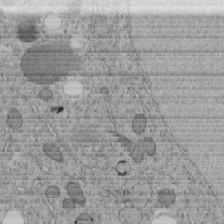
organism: C. elegans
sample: C. elegans embryo early stage